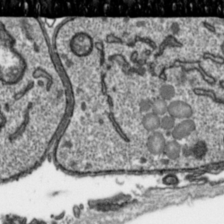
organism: Toxoplasma gondii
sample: Parasites in a vacuole inside a host cell